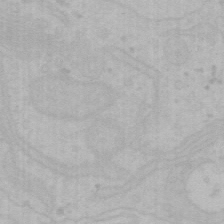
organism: Mouse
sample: Choroid plexus